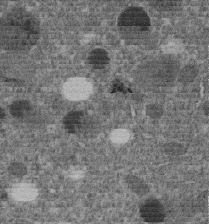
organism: C. elegans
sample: C. elegans embryo early stage